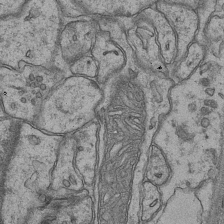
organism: Mouse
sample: CA1 Hippocampus